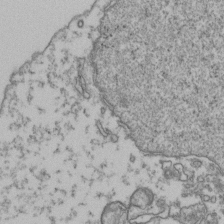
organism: Human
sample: Activated Jurkat CD4+ T cells